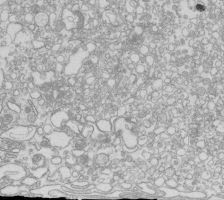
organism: Mouse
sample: Macrophages